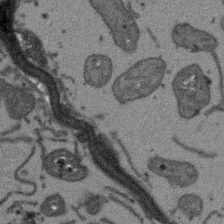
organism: Arabidopsis thaliana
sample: Root tip